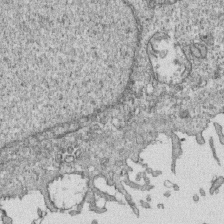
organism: Human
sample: HeLa cell HIV synapse